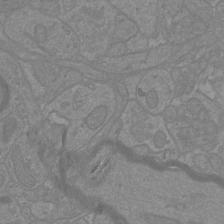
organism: Mouse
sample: Cortical neurons